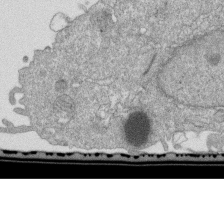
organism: Human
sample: HeLa cell HIV synapse